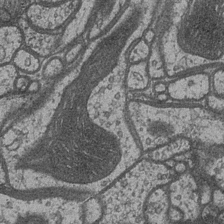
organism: Drosophila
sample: Optic medulla